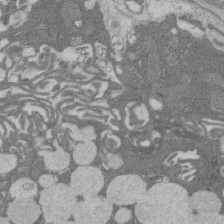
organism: Rat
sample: Salivary granule